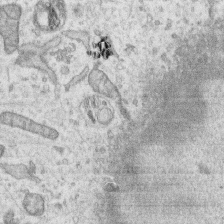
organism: Human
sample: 1205lu cells